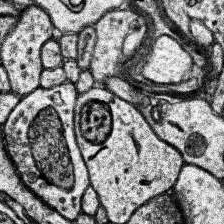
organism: Human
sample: Temporal Lobe